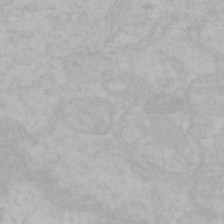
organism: Mouse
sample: Choroid plexus